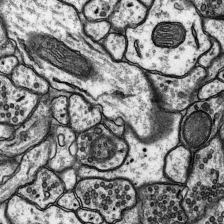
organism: Rat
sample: Hippocampus